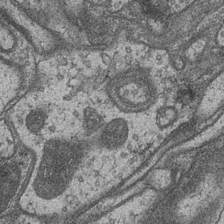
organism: Drosophila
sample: Optic medulla